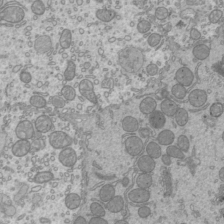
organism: Mouse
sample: Cilia; mouse epididymis